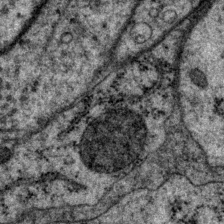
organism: P. pacificus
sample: Pharynx